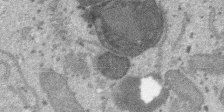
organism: Human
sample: Lung epithelial cells infected with SARS-CoV-2